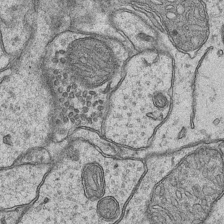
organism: Mouse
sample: CA1 Hippocampus